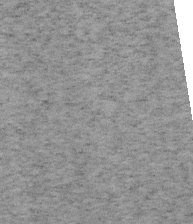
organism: Mouse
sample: OT-I killer T cells with ID8 ovarian cancer cells